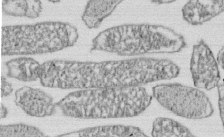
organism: E. coli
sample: Bacterial nucleoid